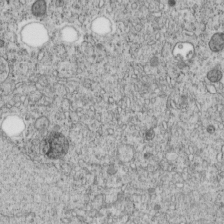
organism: C. elegans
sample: C. elegans embryo early stage